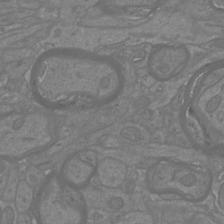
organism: Mouse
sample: Cortical neurons